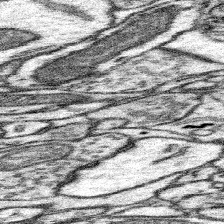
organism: Mouse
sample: Somatosensory cortex neuropil